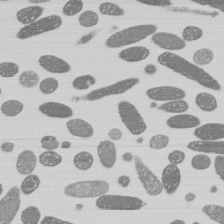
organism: E. coli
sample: Bacterial nucleoid